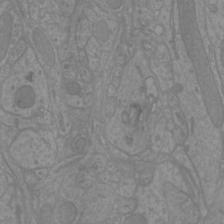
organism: Mouse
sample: Cortical neurons